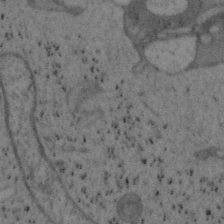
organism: Human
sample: HeLa cells